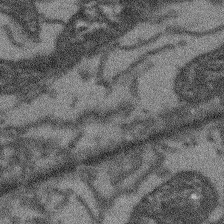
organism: Arabidopsis thaliana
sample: Root tip